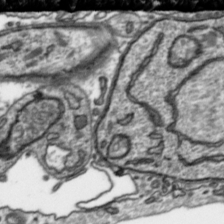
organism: Toxoplasma gondii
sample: Parasites in a vacuole inside a host cell